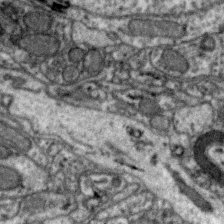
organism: Zebra finch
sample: Brain